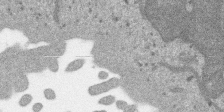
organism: Human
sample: Lung epithelial cells infected with SARS-CoV-2